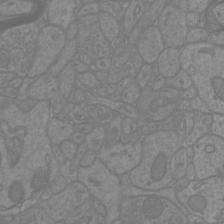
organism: Mouse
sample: Cortical neurons